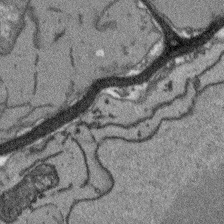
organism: Arabidopsis thaliana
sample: Root tip